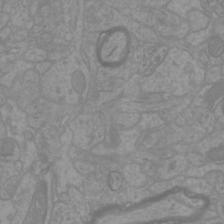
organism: Mouse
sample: Cortical neurons